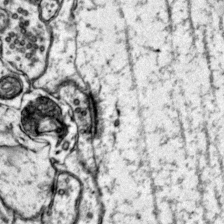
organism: Mouse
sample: Primary visual cortex